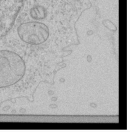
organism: Human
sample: Mitochondria in HCT116 cells